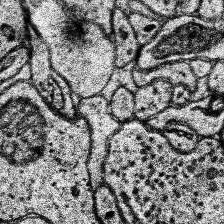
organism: Human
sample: Temporal Lobe